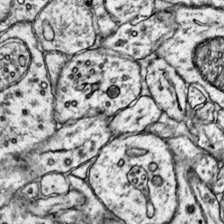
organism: Mouse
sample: Primary visual cortex